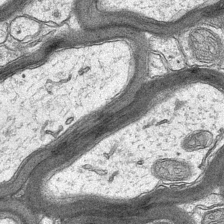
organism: Mouse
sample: CA1 Hippocampus